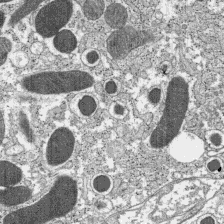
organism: C57BL Mouse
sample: Pancreatic islet